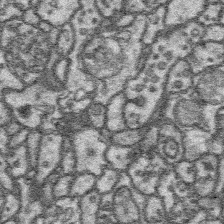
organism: Platynereis dumerilii